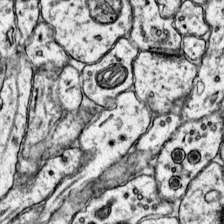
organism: Mouse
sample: Primary visual cortex